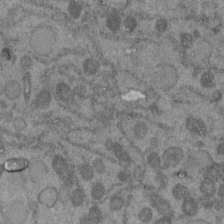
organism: C. elegans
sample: C. elegans embryo early stage